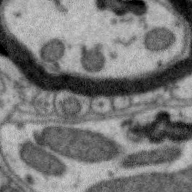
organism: Zebra finch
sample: Brain